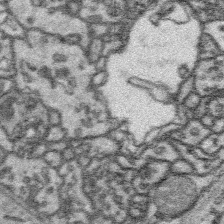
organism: Platynereis dumerilii